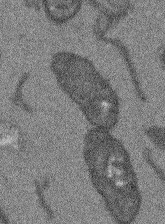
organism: Arabidopsis thaliana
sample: Root tip